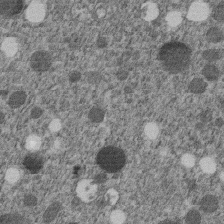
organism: C. elegans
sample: C. elegans embryo early stage